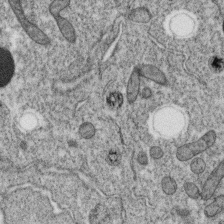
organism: C. elegans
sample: C. elegans oocyte; sperm cells